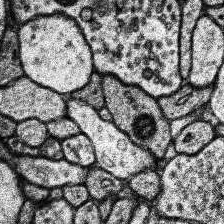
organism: Human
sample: Temporal Lobe